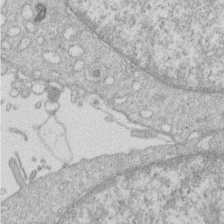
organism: Human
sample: Macrophage cells